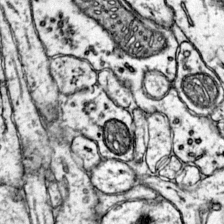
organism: Mouse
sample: Primary visual cortex